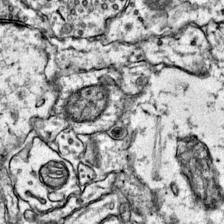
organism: Mouse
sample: Primary visual cortex